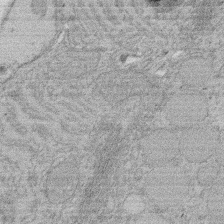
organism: Rat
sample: Salivary granule